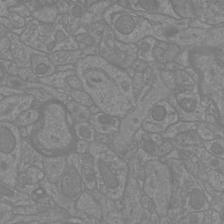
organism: Mouse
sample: Cortical neurons